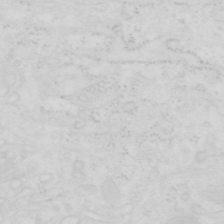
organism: Human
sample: SUM-159 cell